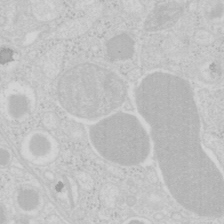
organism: Mouse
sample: Pancreas